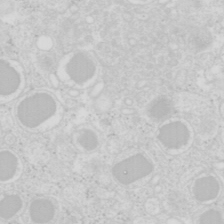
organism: Mouse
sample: Pancreas